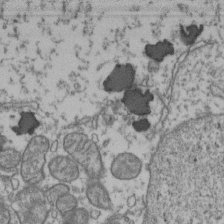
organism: Human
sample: Activated Jurkat CD4+ T cells